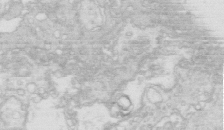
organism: Mouse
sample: Multiciliated cells